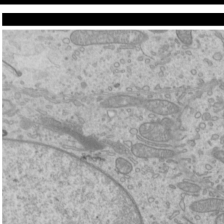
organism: Mouse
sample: Cilia; mouse epididymis